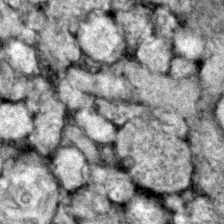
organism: Zebrafish